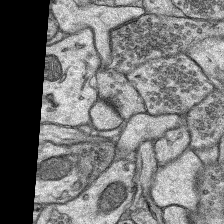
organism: Rat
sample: Hippocampus